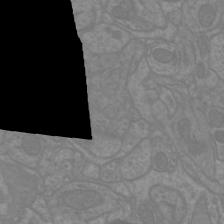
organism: Mouse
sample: Cortical neurons